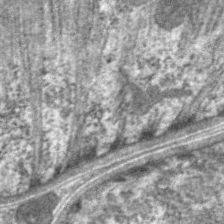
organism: C. elegans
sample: Pharynx